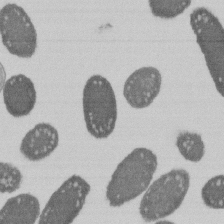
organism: E. coli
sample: Bacterial nucleoid